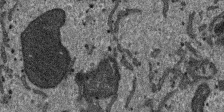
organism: Human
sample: Lung epithelial cells infected with SARS-CoV-2